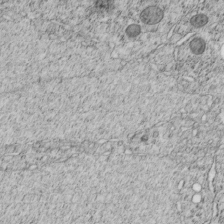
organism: C. elegans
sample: C. elegans embryo early stage